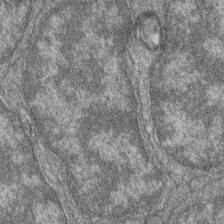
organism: Zebrafish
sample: Cilia; retinal pigment epithelium